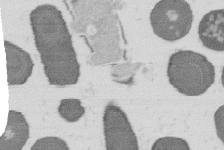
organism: B. subtilis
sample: Bacterial spore